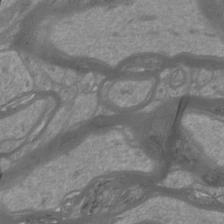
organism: Mouse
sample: Cortical neurons